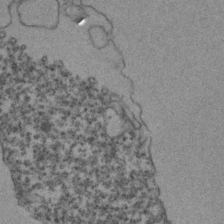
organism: Zebrafish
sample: Zebrafish embryo